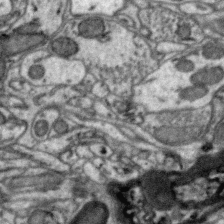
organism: Zebra finch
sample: Brain